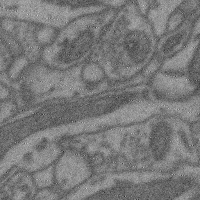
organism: Mouse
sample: Cerebral cortex